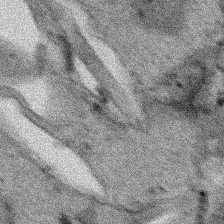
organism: Human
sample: Mitochondria in HCT116 cells